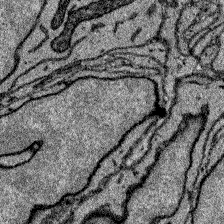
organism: Zebrafish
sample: Larval olfactory bulb